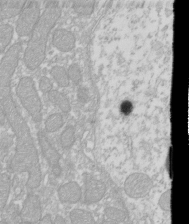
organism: Xenopus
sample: Cilia; centrioles in frog embryo cells